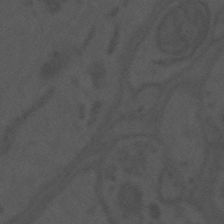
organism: Mouse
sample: Suprachiasmatic nucleus